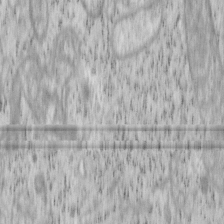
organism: Human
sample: HeLa cells